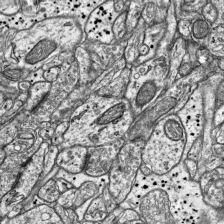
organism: Mouse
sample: Visual Cortex